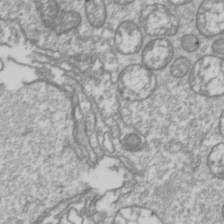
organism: Drosophila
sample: Cell division; meiosis; drosophila spermatocytes